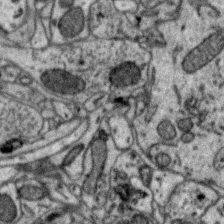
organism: Zebra finch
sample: Brain